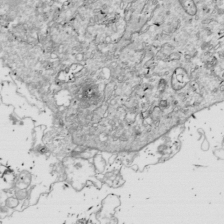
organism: Drosophila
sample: Cell division; meiosis; drosophila spermatocytes